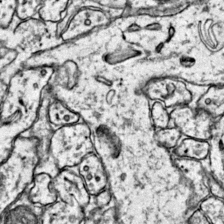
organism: Mouse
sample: Primary visual cortex